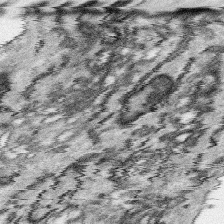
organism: Human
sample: HeLa cells